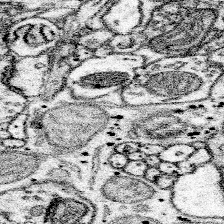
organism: Mouse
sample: Somatosensory cortex neuropil